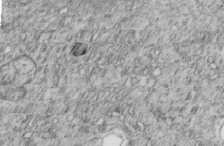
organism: C. elegans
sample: C. elegans embryo early stage